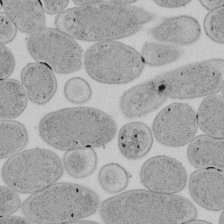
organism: E. coli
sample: Bacterial nucleoid